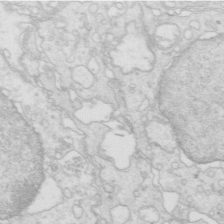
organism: Mouse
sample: Multiciliated cells